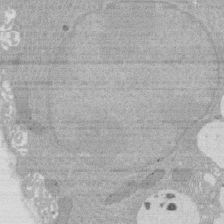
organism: Rat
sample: Salivary granule